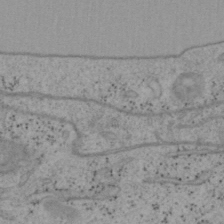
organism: Human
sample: HeLa cells